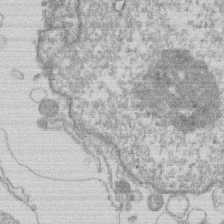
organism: Human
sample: Macrophage cells